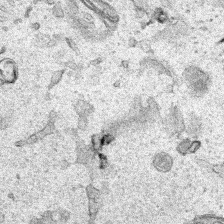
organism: Human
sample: Mitochondria in HCT116 cells